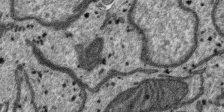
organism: Human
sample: Lung epithelial cells, uninfected (mock) control